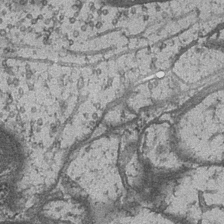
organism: Drosophila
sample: Optic medulla